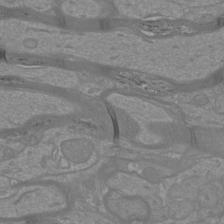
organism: Mouse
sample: Cortical neurons